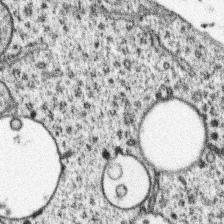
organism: Human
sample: HeLa cells